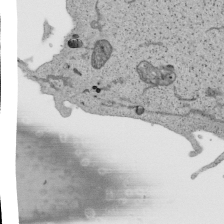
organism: Human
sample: Mitochondria in HCT116 cells